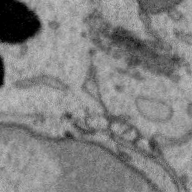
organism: Zebra finch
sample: Brain